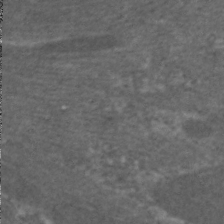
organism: C. elegans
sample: Pharynx